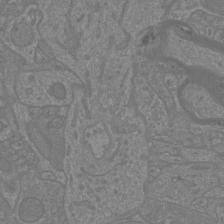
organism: Mouse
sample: Cortical neurons